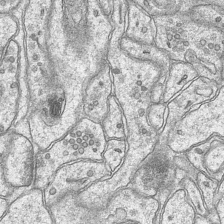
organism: Mouse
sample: CA1 Hippocampus